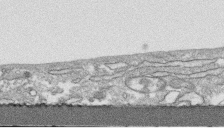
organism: Human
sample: CRL-1474